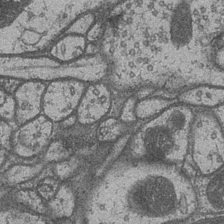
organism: Drosophila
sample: Optic medulla